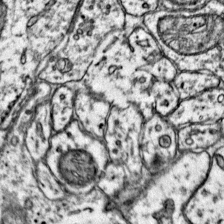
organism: Mouse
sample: Primary visual cortex